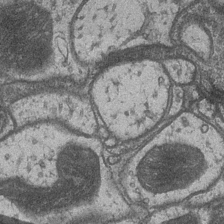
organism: Drosophila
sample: Optic medulla